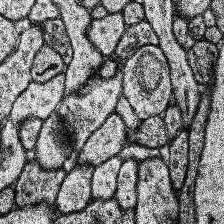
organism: Human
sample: Temporal Lobe